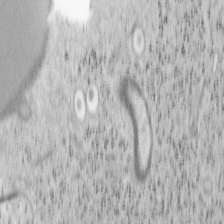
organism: Human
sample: HeLa cells